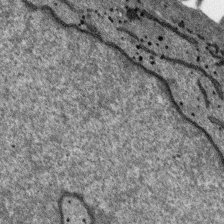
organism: Human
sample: Lung epithelial cells, uninfected (mock) control